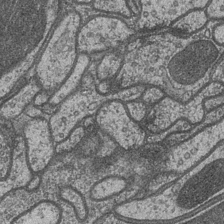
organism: Drosophila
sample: Optic medulla